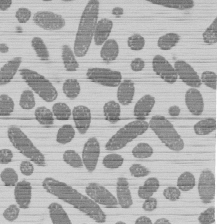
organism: E. coli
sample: Bacterial nucleoid